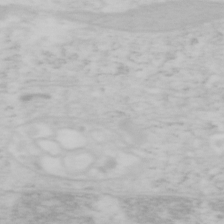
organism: Mouse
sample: OT-I killer T cells with ID8 ovarian cancer cells